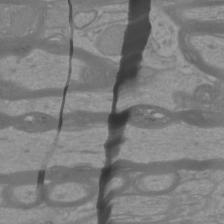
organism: Mouse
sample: Cortical neurons